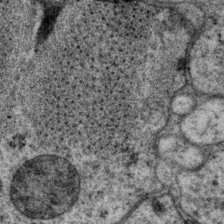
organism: P. pacificus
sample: Pharynx